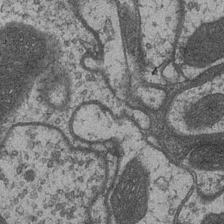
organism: Drosophila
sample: Optic medulla